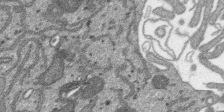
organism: Human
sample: Lung epithelial cells infected with SARS-CoV-2